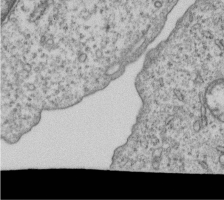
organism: Human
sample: MDA-MB-231 cells